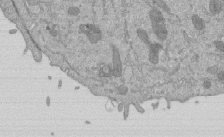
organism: Mouse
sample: ED-1 cell nuclei; centrioles